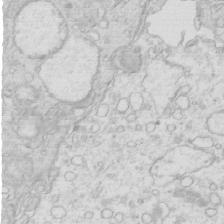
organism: Mouse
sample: Multiciliated cells